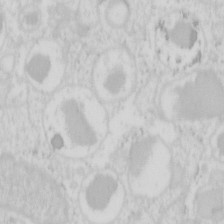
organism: Mouse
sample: Pancreas